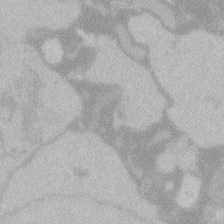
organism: Zebrafish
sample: Macrophage infected with Toxoplasma gondii